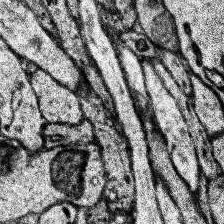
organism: Human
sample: Temporal Lobe